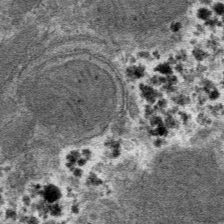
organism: Mouse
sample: Mouse hepatocytes